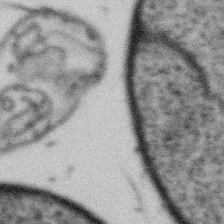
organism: Gemmata obscuriglobus